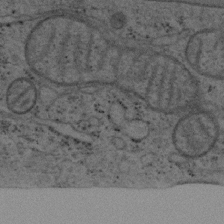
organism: Human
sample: HeLa cells